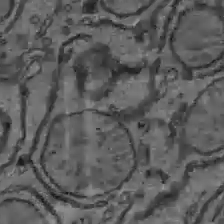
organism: C57BL Mouse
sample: Liver